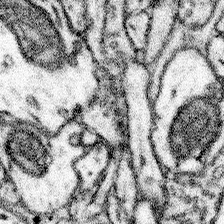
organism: Mouse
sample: Somatosensory cortex neuropil